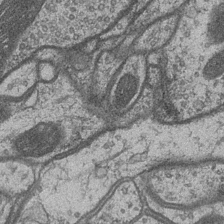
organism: Drosophila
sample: Optic medulla